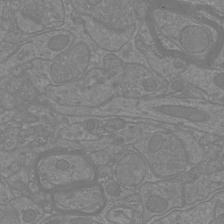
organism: Mouse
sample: Cortical neurons